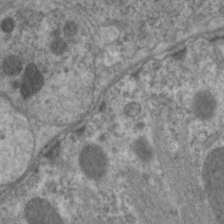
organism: C. elegans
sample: Pharynx